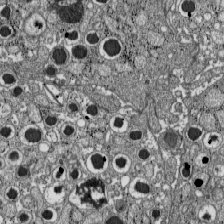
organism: C57BL Mouse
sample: Pancreatic islet